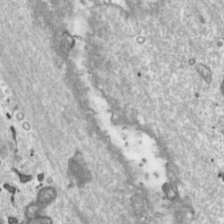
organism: Toxoplasma gondii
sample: Parasites in a vacuole inside a host cell